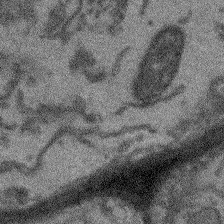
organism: Arabidopsis thaliana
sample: Root tip